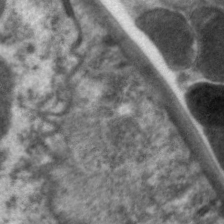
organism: C. elegans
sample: Pharynx